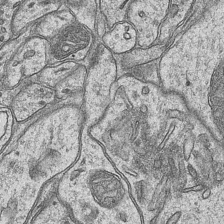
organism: Mouse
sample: CA1 Hippocampus